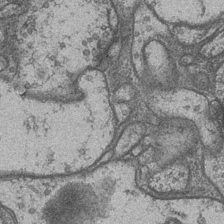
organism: Drosophila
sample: Optic medulla